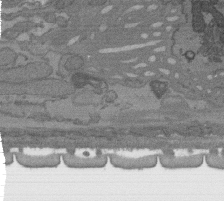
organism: C. elegans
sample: AFD neurons C. elegans